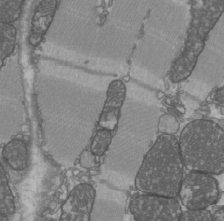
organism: C57BL Mouse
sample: Heart